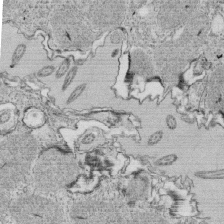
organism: Tetrahymena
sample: Cilia in tetrahymena